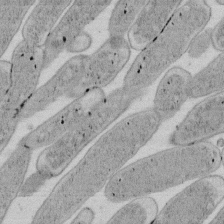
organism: E. coli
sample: Bacterial nucleoid